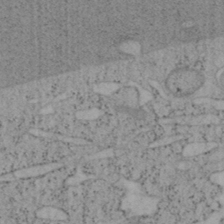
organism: Mouse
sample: OT-I killer T cells with ID8 ovarian cancer cells